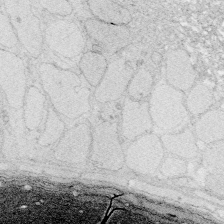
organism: Zebrafish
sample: Whole-Brain